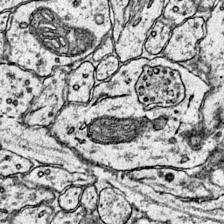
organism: Mouse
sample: Primary visual cortex